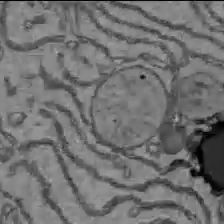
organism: C57BL Mouse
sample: Liver